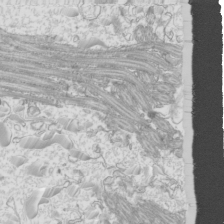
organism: Mouse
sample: Cilia; mouse epididymis